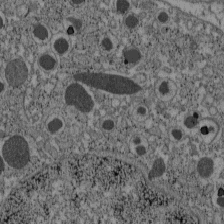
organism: C57BL Mouse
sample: Pancreatic islet